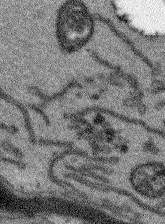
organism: Arabidopsis thaliana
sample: Root tip